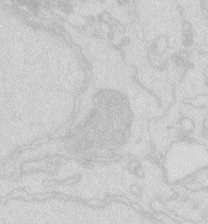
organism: Zebrafish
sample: Macrophage